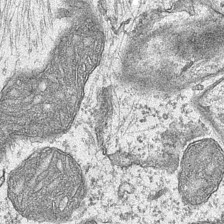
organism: Mouse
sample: CA1 Hippocampus